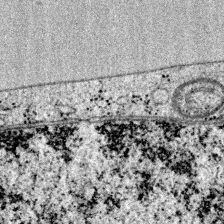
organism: Human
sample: HeLa cells